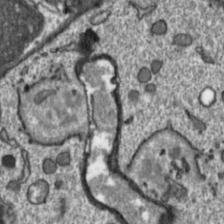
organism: Toxoplasma gondii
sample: Parasites in a vacuole inside a host cell